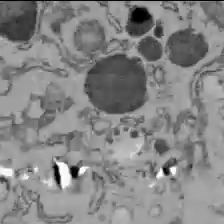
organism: C57BL Mouse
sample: Liver